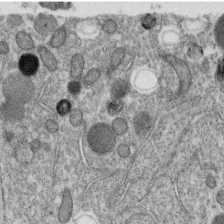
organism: C. elegans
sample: C. elegans oocyte; sperm cells